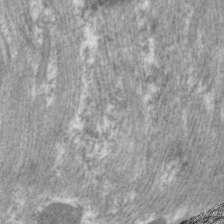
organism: C. elegans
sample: Pharynx